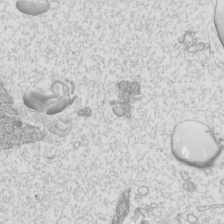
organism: Mouse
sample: Cilia; mouse epididymis